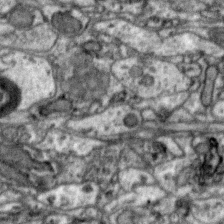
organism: Zebra finch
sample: Brain